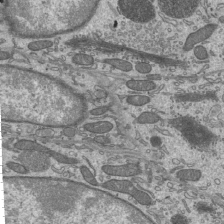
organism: Mouse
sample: Mouse epididymis efferent ductule cilia